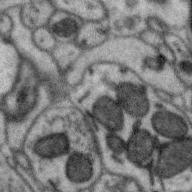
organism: Zebra finch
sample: Brain